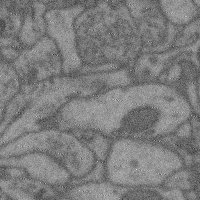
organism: Mouse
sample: Cerebral cortex